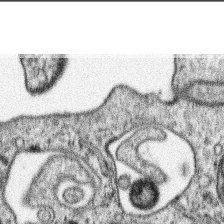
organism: Human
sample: HeLa cells